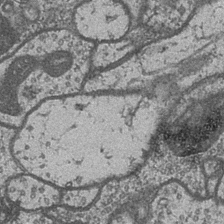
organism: Drosophila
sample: Optic medulla